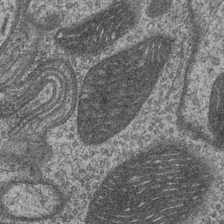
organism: Drosophila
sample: Optic medulla